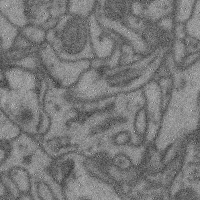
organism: Mouse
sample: Cerebral cortex